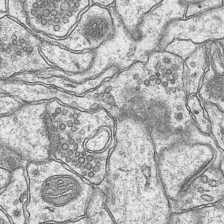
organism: Mouse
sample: CA1 Hippocampus